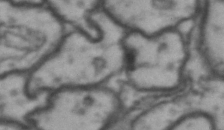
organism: Drosophila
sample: Brain